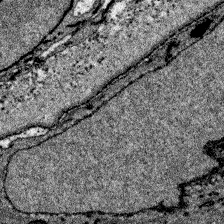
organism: Zebrafish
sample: Larval olfactory bulb